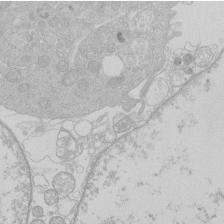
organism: Human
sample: Macrophage cells